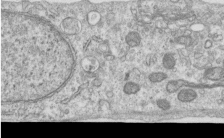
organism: Human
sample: Centriole in RPE cells